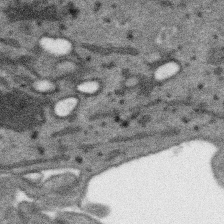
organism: Human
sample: Lung epithelial cells infected with SARS-CoV-2